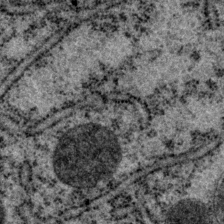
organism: P. pacificus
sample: Pharynx